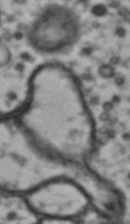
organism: Drosophila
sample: Brain